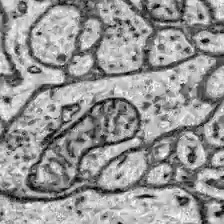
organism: Zebrafish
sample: Brain